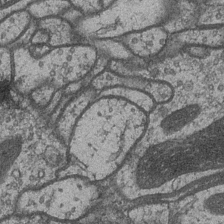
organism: Drosophila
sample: Optic medulla